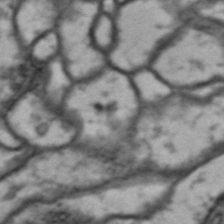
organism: Drosophila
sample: Brain